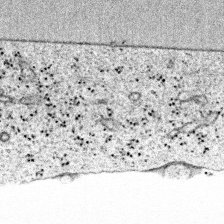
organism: Human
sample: HeLa cells